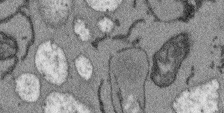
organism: Arabidopsis thaliana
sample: Root tip